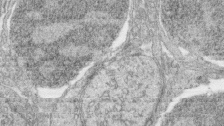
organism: Zebrafish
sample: synaptic ribbons in rod cells and cone cells